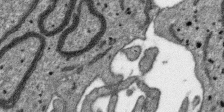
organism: Human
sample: Lung epithelial cells, uninfected (mock) control